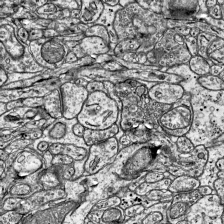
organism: Mouse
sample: Visual Cortex